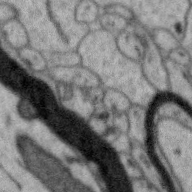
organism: Zebra finch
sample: Brain